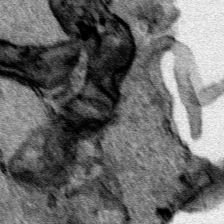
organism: Human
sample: Mitochondria in HCT116 cells